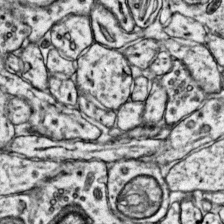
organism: Mouse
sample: Primary visual cortex